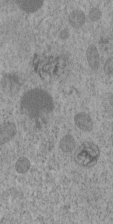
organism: C. elegans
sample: C. elegans embryo early stage